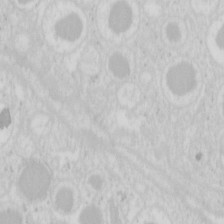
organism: Mouse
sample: Pancreas